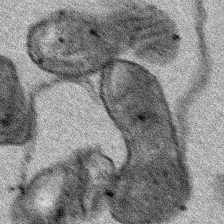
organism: Human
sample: Mitochondria in HCT116 cells